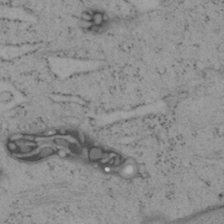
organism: Mouse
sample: OT-I killer T cells with ID8 ovarian cancer cells